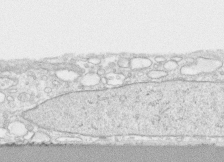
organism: Human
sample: CRL-1474